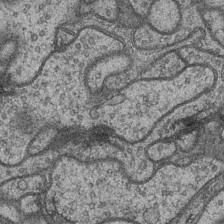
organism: Drosophila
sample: Optic medulla